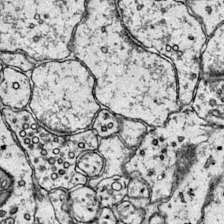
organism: Mouse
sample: Primary visual cortex